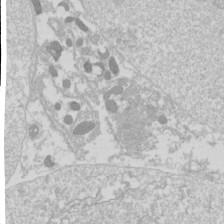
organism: Drosophila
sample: Cell division; meiosis; drosophila spermatocytes